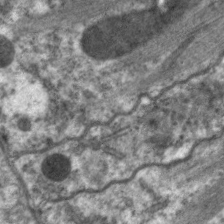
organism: C. elegans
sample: Pharynx